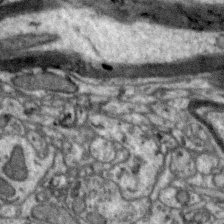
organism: Zebra finch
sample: Brain